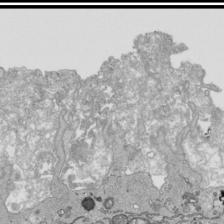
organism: Human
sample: Mitochondria in HCT116 cells